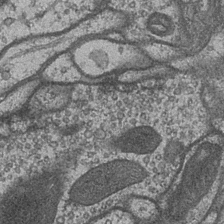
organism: Drosophila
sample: Optic medulla